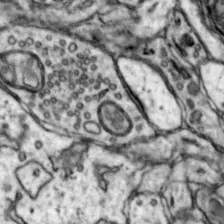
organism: Mouse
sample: Nucleus accumbens